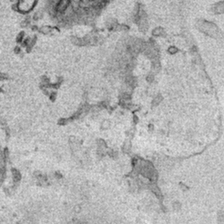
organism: Human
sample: Mitochondria in HCT116 cells